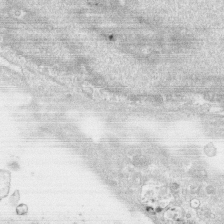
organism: Human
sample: CRL-1474